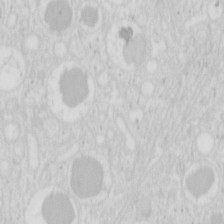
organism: Mouse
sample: Pancreas